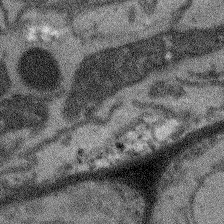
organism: Arabidopsis thaliana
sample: Root tip